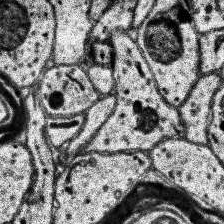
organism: Human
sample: Temporal Lobe